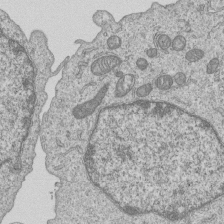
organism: Human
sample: MDA-MB-231 cells